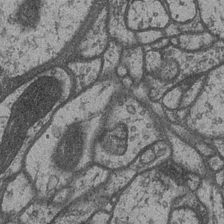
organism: Drosophila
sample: Optic medulla